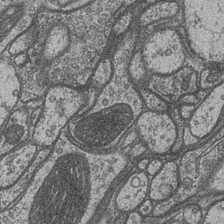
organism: Drosophila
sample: Optic medulla